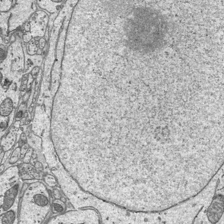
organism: Mouse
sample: Suprachiasmatic nucleus